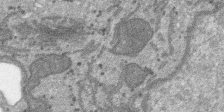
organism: Human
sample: Lung epithelial cells infected with SARS-CoV-2